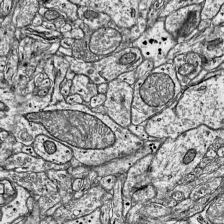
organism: Mouse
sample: Visual Cortex